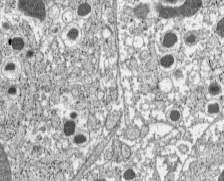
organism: C57BL Mouse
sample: Pancreatic islet